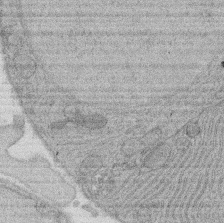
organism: Rat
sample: Salivary granule